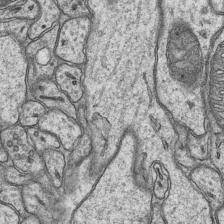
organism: Mouse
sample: CA1 Hippocampus